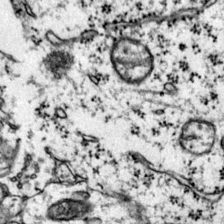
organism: Mouse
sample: Primary visual cortex